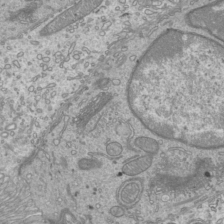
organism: Mouse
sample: Cilia; mouse epididymis